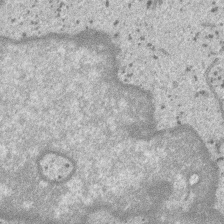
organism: Human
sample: Lung epithelial cells infected with SARS-CoV-2